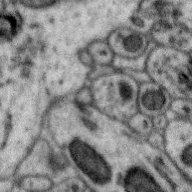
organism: Zebra finch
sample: Brain